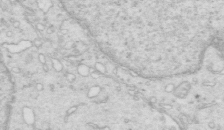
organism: Mouse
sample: Multiciliated cells